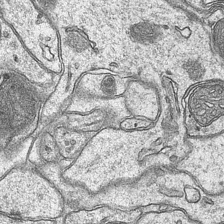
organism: Mouse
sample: CA1 Hippocampus